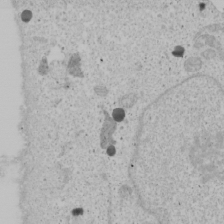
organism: Human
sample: Mitochondria in U2OS cells